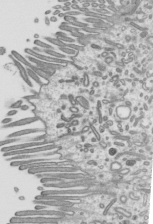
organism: Mouse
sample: Mouse epididymis efferent ductule cilia